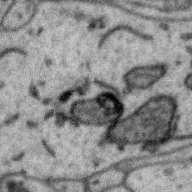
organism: Zebra finch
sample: Brain